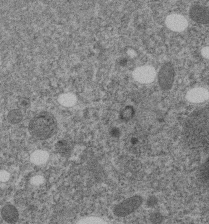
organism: C. elegans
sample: C. elegans embryo early stage